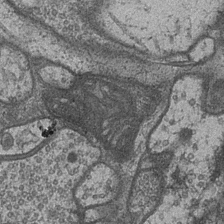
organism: Drosophila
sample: Optic medulla